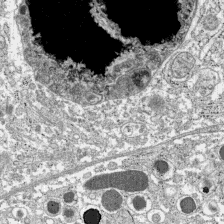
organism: C57BL Mouse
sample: Pancreatic islet